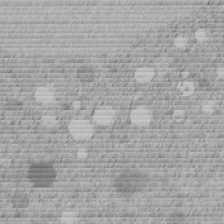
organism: C. elegans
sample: C. elegans embryo early stage